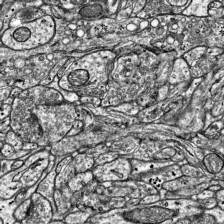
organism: Mouse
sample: Visual Cortex